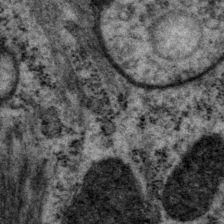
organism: P. pacificus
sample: Pharynx